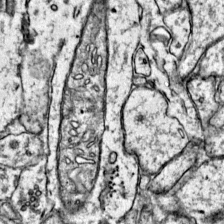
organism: Mouse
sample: Primary visual cortex